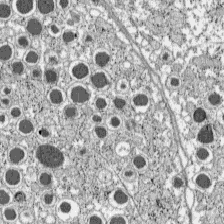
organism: C57BL Mouse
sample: Pancreatic islet